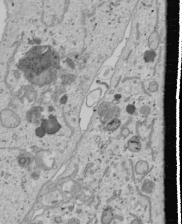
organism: Human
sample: Mitochondria in U2OS cells